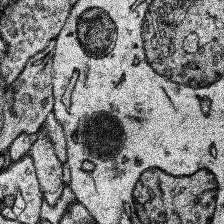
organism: Human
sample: Temporal Lobe